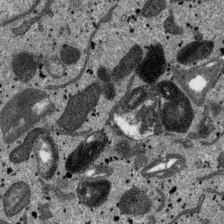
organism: Human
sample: Lung epithelial cells, uninfected (mock) control